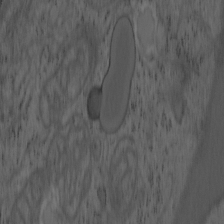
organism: Human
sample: HeLa cells